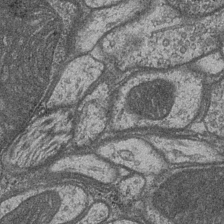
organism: Drosophila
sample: Optic medulla